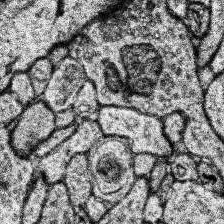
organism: Human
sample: Temporal Lobe